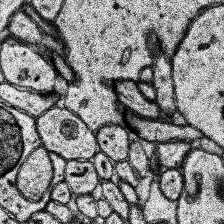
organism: Human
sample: Temporal Lobe